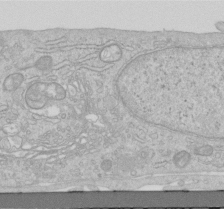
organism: Human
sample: Centriole in RPE cells